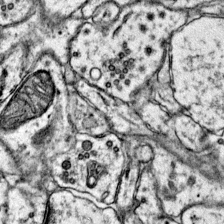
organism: Mouse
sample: Primary visual cortex